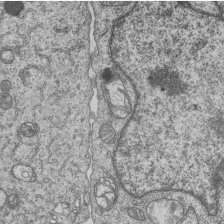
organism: Human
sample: MDA-MB-231 cells